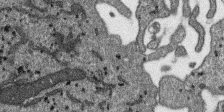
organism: Human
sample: Lung epithelial cells infected with SARS-CoV-2